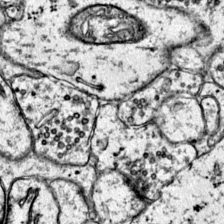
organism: Mouse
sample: Primary visual cortex